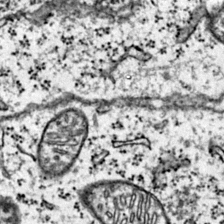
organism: Mouse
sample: Primary visual cortex